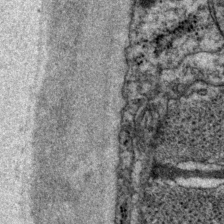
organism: P. pacificus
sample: Pharynx